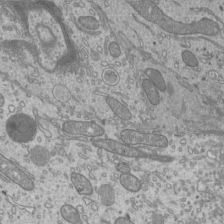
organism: Mouse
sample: Cilia; mouse epididymis